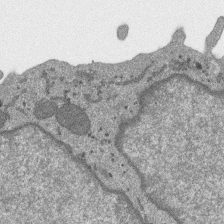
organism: Human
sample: Lung epithelial cells infected with SARS-CoV-2